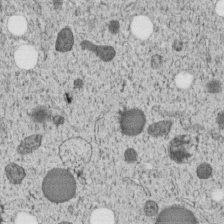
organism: C. elegans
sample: C. elegans embryo early stage